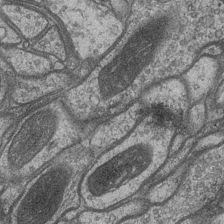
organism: Drosophila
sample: Optic medulla